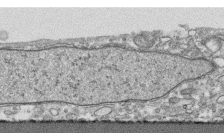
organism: Human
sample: CRL-1474